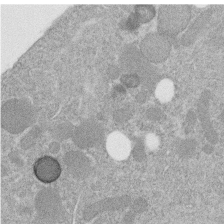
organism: C. elegans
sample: C. elegans embryo early stage